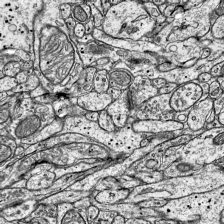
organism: Mouse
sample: Visual Cortex